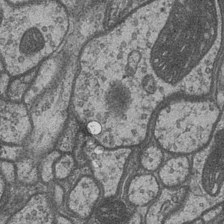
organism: Drosophila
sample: Optic medulla